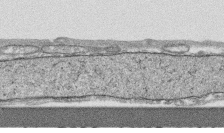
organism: Human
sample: CRL-1474